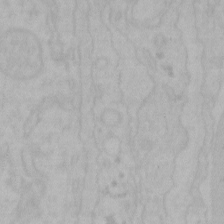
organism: Mouse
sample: Choroid plexus